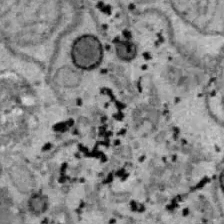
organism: Mouse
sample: Liver from an obese (ob/ob) mouse